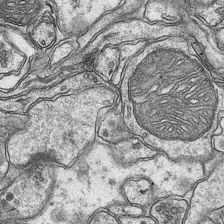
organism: Mouse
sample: CA1 Hippocampus